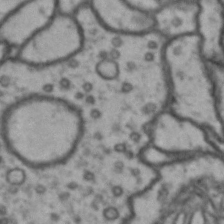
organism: Drosophila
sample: Brain